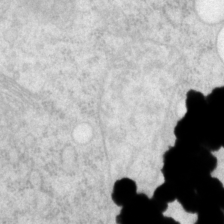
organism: P. pacificus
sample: Pharynx